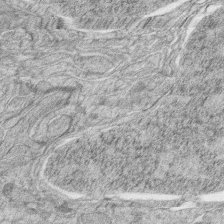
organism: Zebrafish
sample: synaptic ribbons in rod cells and cone cells